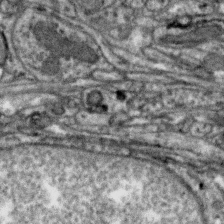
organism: Zebra finch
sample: Brain